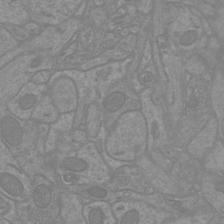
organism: Mouse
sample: Cortical neurons